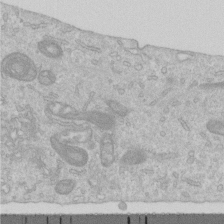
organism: Human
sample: Centriole in RPE cells